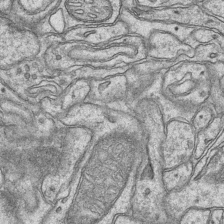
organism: Mouse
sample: CA1 Hippocampus